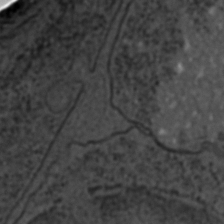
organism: C. elegans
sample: C. elegans embryo